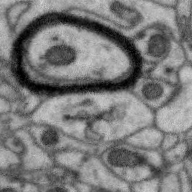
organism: Zebra finch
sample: Brain